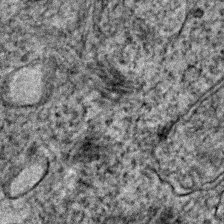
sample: Trachea